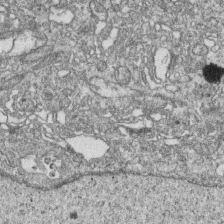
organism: Human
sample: HeLa cell HIV synapse